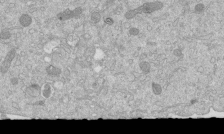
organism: Mouse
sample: ED-1 cell nuclei; centrioles